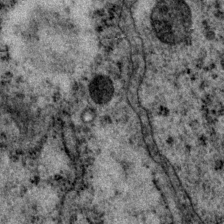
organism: P. pacificus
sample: Pharynx